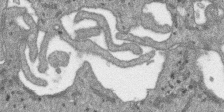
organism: Human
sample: Lung epithelial cells infected with SARS-CoV-2